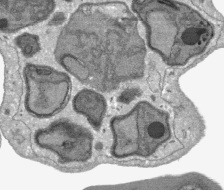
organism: Plasmodium falciparum